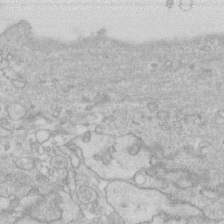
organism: Human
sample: Fibroblast cells